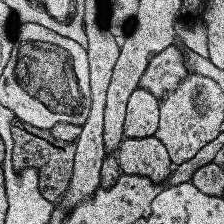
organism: Human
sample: Temporal Lobe